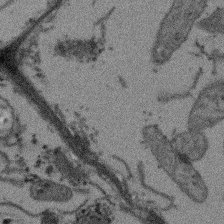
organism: Arabidopsis thaliana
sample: Root tip